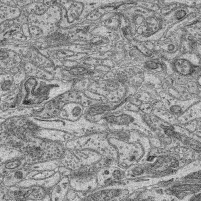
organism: Mouse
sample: Retina